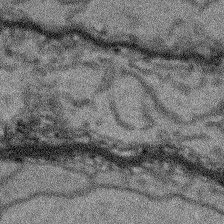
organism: Arabidopsis thaliana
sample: Root tip